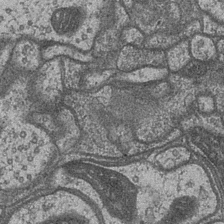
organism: Drosophila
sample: Optic medulla